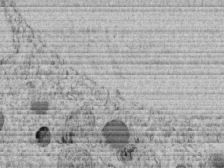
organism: C. elegans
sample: C. elegans embryo early stage